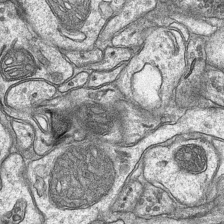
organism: Mouse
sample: CA1 Hippocampus